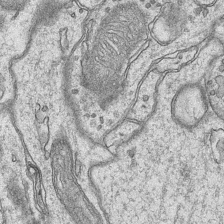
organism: Mouse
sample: CA1 Hippocampus